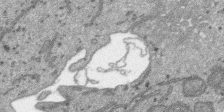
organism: Human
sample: Lung epithelial cells infected with SARS-CoV-2